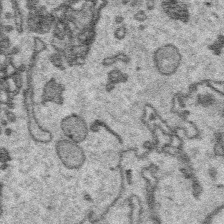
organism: Platynereis dumerilii